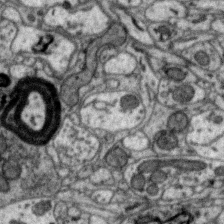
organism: Zebra finch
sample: Brain